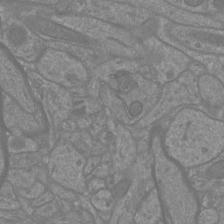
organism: Mouse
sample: Cortical neurons